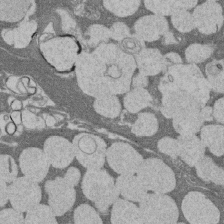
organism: Rat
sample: Salivary granule